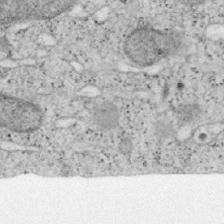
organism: Mouse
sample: OT-I killer T cells with ID8 ovarian cancer cells